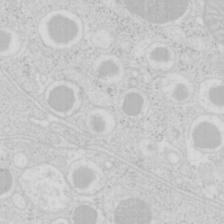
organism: Mouse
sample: Pancreas